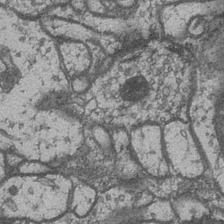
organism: Drosophila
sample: Optic medulla